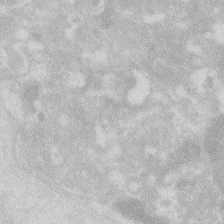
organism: Zebrafish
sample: Macrophage